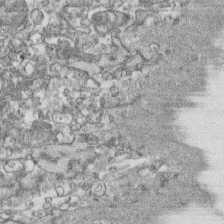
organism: Human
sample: CRL-1474